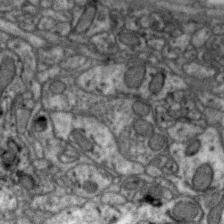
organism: Zebra finch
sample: Brain